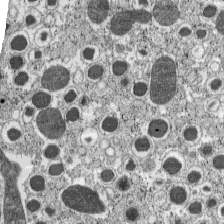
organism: C57BL Mouse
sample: Pancreatic islet